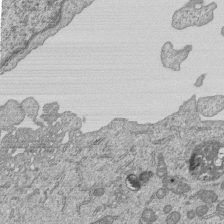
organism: Human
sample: MDA-MB-231 cells